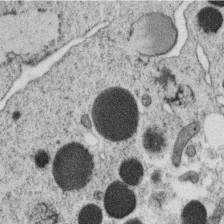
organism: C. elegans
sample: C. elegans oocyte; sperm cells